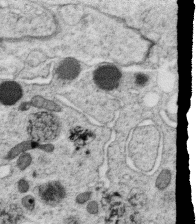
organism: C. elegans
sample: C. elegans oocyte; sperm cells